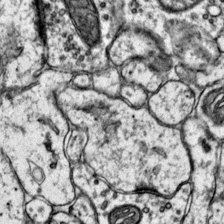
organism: Mouse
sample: Primary visual cortex